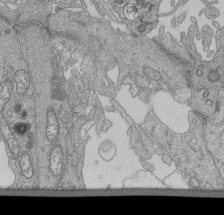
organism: Human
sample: Retinal organoid Rod and Cone cells